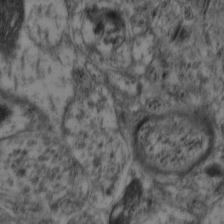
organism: Mouse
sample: Neocortex